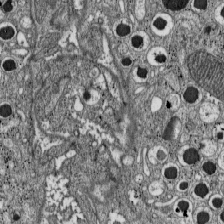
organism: C57BL Mouse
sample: Pancreatic islet